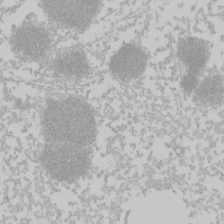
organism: Mouse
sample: Cancer cell death in ED-1 cells